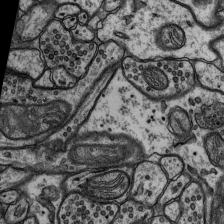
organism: Rat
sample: Hippocampus